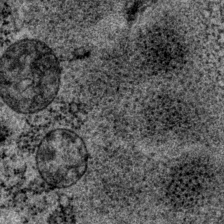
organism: P. pacificus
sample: Pharynx